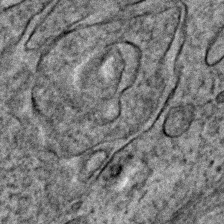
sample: Trachea